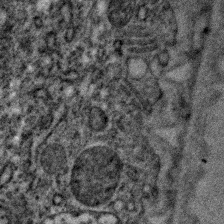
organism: C. elegans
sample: C. elegans embryo